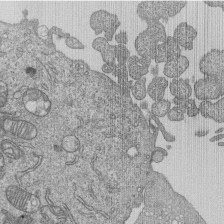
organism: Human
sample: MDA-MB-231 cells